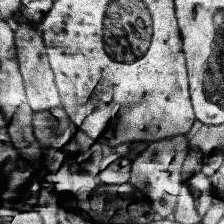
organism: Human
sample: Temporal Lobe